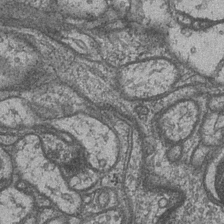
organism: Drosophila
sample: Optic medulla